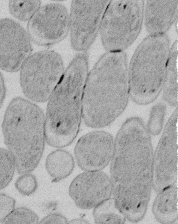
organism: E. coli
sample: Bacterial nucleoid